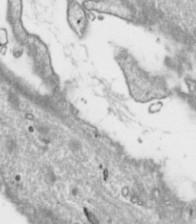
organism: Toxoplasma gondii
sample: Parasites in a vacuole inside a host cell